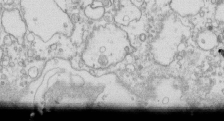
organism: Mouse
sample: Macrophages